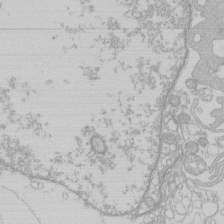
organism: Human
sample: Macrophage cells